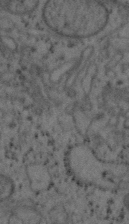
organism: Human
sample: HeLa cells